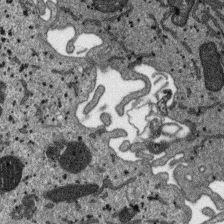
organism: Human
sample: Lung epithelial cells infected with SARS-CoV-2